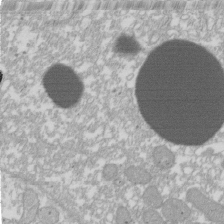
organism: Xenopus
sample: Cilia; centrioles in frog embryo cells